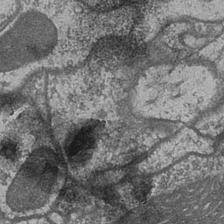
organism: Drosophila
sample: Optic medulla